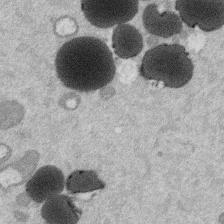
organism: Mouse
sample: Dividing mouse embryo 1 cell stage